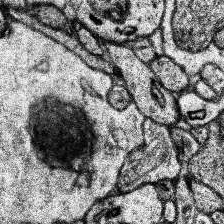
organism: Human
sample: Temporal Lobe